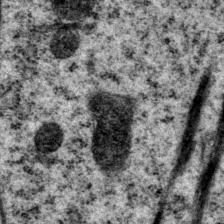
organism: P. pacificus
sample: Pharynx